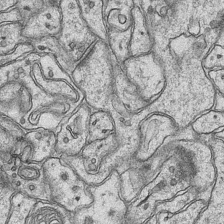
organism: Mouse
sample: CA1 Hippocampus